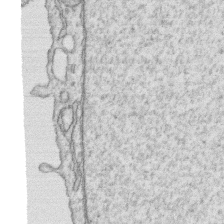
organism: Human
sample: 1205lu cells